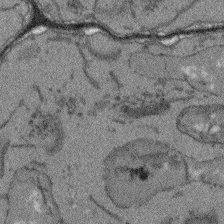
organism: Arabidopsis thaliana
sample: Root tip